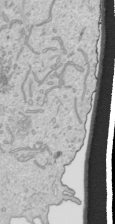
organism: Human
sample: Mitochondria in HCT116 cells